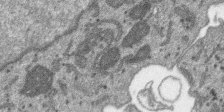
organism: Human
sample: Lung epithelial cells infected with SARS-CoV-2